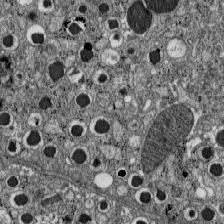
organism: C57BL Mouse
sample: Pancreatic islet